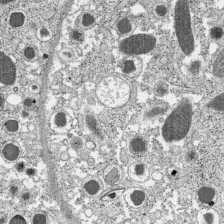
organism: C57BL Mouse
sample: Pancreatic islet